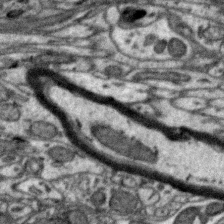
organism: Zebra finch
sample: Brain